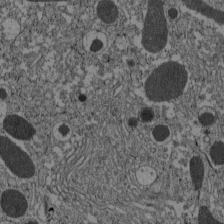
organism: C57BL Mouse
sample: Pancreatic islet